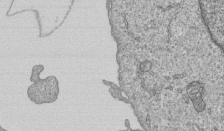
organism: Human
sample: MDA-MB-231 cells